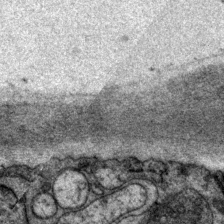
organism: P. pacificus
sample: Pharynx